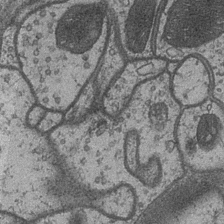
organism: Drosophila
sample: Optic medulla